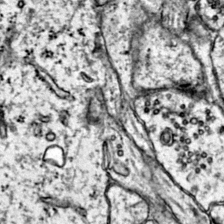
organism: Mouse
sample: Primary visual cortex